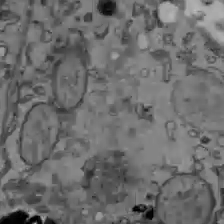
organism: C57BL Mouse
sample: Liver